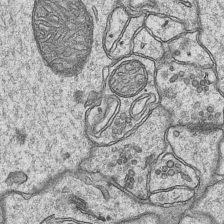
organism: Mouse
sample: CA1 Hippocampus